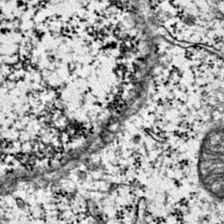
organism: Mouse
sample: Primary visual cortex